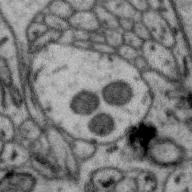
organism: Zebra finch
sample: Brain